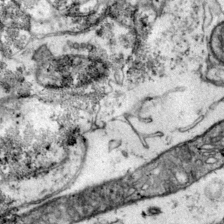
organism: Mouse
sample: Primary visual cortex